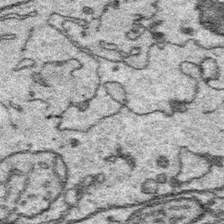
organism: Platynereis dumerilii